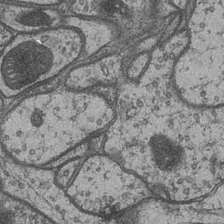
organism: Drosophila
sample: Optic medulla